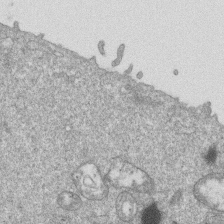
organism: Human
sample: HeLa cell HIV synapse